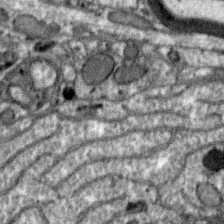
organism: Zebra finch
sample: Brain